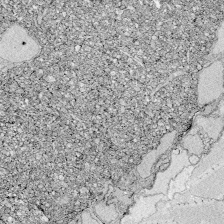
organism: Zebrafish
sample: Whole-Brain